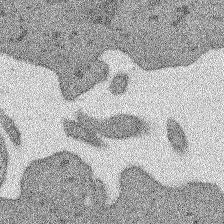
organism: Human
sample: HeLa cells